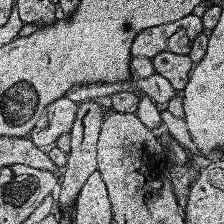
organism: Human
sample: Temporal Lobe